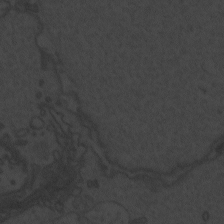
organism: Zebrafish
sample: Macrophage infected with Toxoplasma gondii